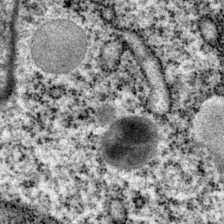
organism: P. pacificus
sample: Pharynx